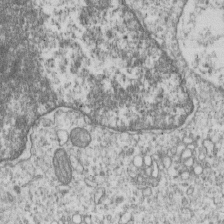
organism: Human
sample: MDA-MB-231 cells